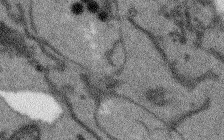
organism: Arabidopsis thaliana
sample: Root tip